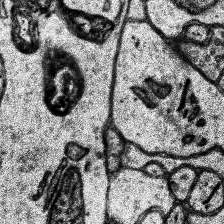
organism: Human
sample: Temporal Lobe